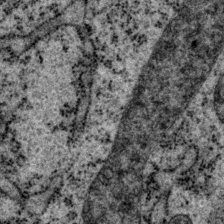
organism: P. pacificus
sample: Pharynx